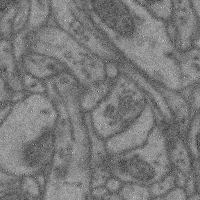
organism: Mouse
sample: Cerebral cortex